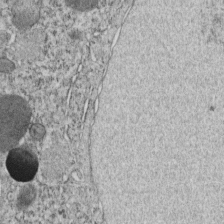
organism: C. elegans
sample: C. elegans embryo early stage